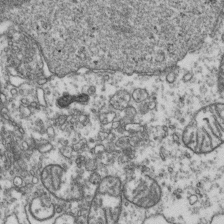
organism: Human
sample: Activated Jurkat CD4+ T cells